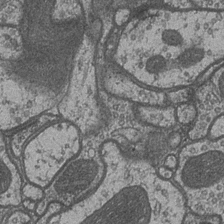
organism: Drosophila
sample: Optic medulla